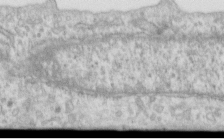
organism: Human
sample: Centriole in RPE cells